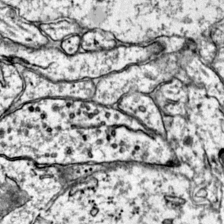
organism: Mouse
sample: Primary visual cortex